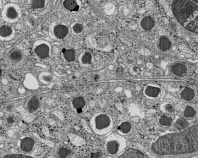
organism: C57BL Mouse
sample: Pancreatic islet